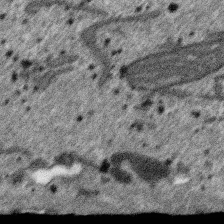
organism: Human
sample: Lung epithelial cells infected with SARS-CoV-2